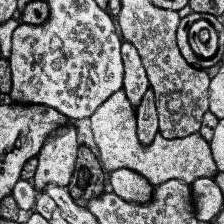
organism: Human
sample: Temporal Lobe